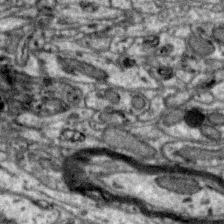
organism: Zebra finch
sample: Brain